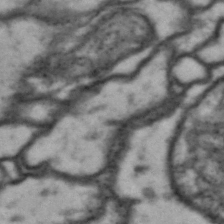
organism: Drosophila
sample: Brain